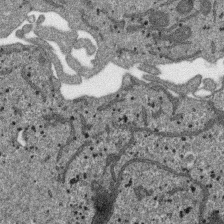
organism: Human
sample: Lung epithelial cells infected with SARS-CoV-2